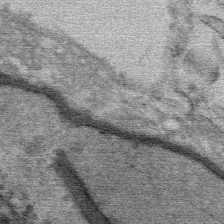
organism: Mouse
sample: Mouse Salivary gland